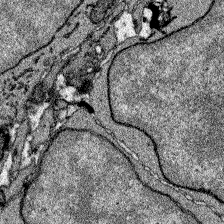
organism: Zebrafish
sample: Larval olfactory bulb